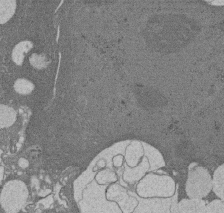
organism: Rat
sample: Salivary granule